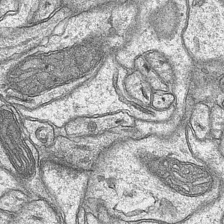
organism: Mouse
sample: CA1 Hippocampus